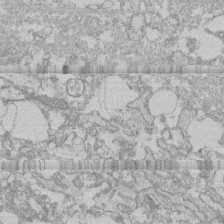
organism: Human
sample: CRL-1474